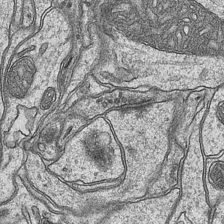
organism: Mouse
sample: CA1 Hippocampus